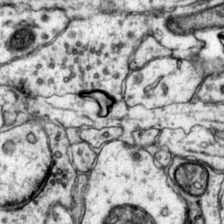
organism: Mouse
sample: Primary visual cortex